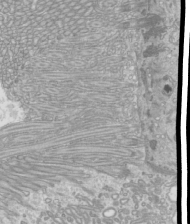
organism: Mouse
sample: Cilia; mouse epididymis